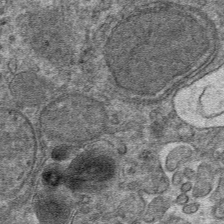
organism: Mouse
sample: Mouse hepatocytes